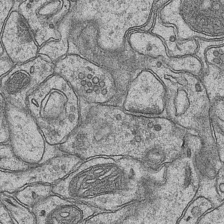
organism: Mouse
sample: CA1 Hippocampus